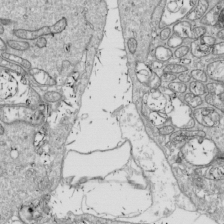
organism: Drosophila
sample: Cell division; meiosis; drosophila spermatocytes